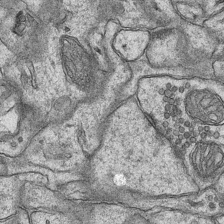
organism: Mouse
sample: CA1 Hippocampus